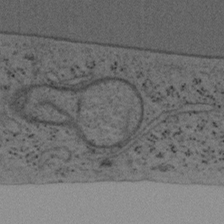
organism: Human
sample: HeLa cells